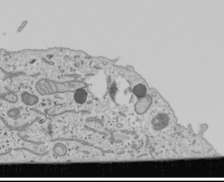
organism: Human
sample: Mitochondria in U2OS cells